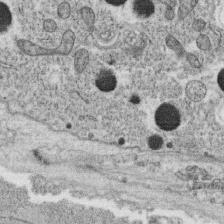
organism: C. elegans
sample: C. elegans oocyte; sperm cells